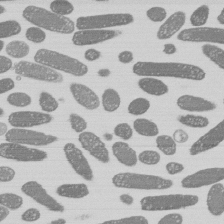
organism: E. coli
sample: Bacterial nucleoid